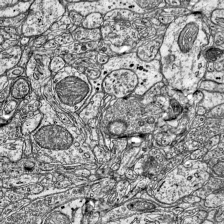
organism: Mouse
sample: Visual Cortex